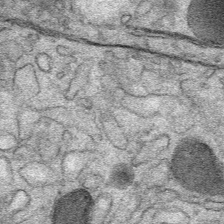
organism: Mouse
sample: Mouse Salivary gland